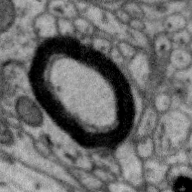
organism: Zebra finch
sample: Brain